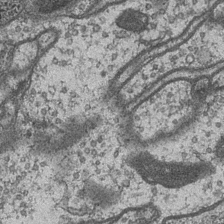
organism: Drosophila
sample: Optic medulla